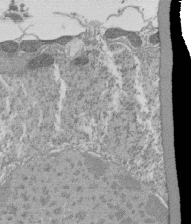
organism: Tetrahymena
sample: Cilia in tetrahymena